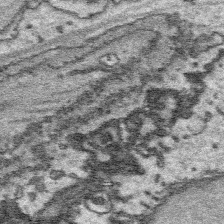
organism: Platynereis dumerilii